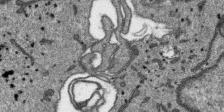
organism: Human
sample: Lung epithelial cells, uninfected (mock) control